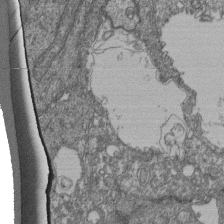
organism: Human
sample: Retinal organoid Rod and Cone cells